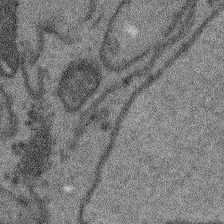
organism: Arabidopsis thaliana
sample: Root tip